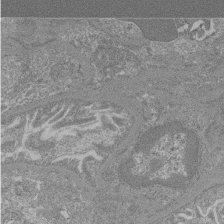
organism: Mouse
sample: Glomerulus